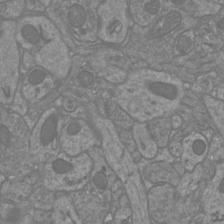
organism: Mouse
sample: Cortical neurons